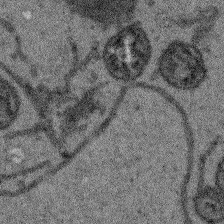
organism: Arabidopsis thaliana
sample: Root tip